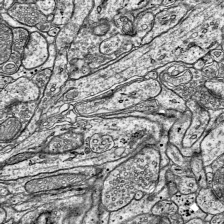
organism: Mouse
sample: Visual Cortex